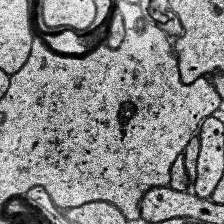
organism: Human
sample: Temporal Lobe